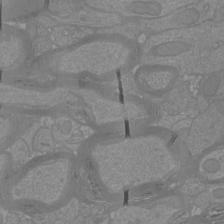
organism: Mouse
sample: Cortical neurons